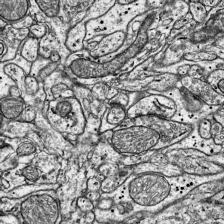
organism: Mouse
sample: Visual Cortex